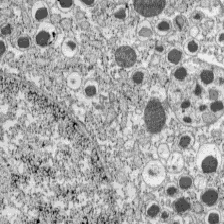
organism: C57BL Mouse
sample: Pancreatic islet